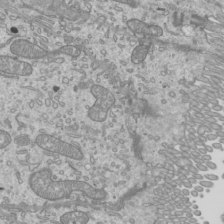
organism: Mouse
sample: Cilia; mouse epididymis